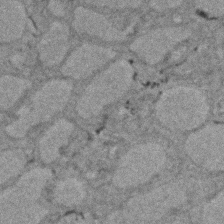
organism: Zebrafish